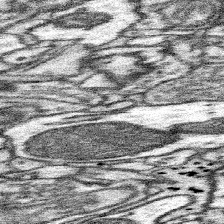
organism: Mouse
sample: Somatosensory cortex neuropil